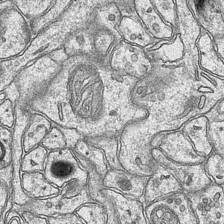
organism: Mouse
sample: CA1 Hippocampus